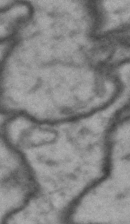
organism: Drosophila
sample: Brain